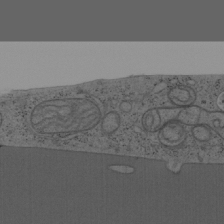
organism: Human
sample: HeLa cells